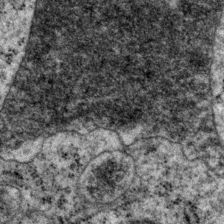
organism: P. pacificus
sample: Pharynx